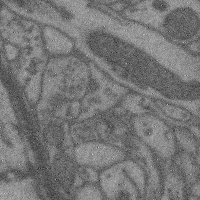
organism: Mouse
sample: Cerebral cortex